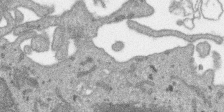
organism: Human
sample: Lung epithelial cells infected with SARS-CoV-2